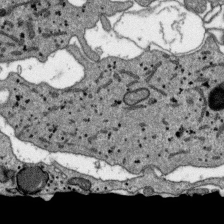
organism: Human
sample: Lung epithelial cells, uninfected (mock) control